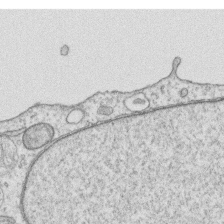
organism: Human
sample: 1205lu cells